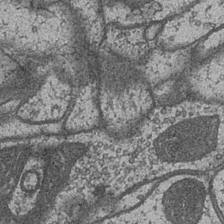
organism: Drosophila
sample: Optic medulla